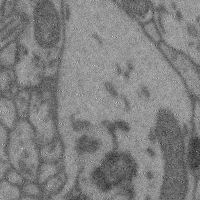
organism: Mouse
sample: Cerebral cortex